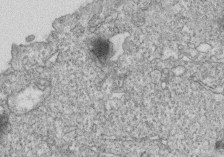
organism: Human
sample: HeLa cell HIV synapse